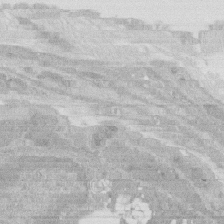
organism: Rat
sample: Salivary granule